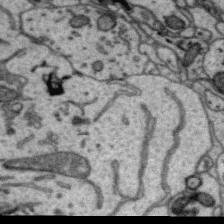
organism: Zebra finch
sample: Brain